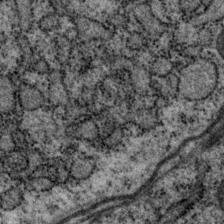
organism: P. pacificus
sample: Pharynx